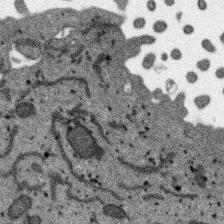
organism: Human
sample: Lung epithelial cells, uninfected (mock) control